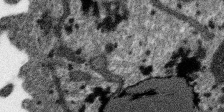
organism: Human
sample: Lung epithelial cells infected with SARS-CoV-2